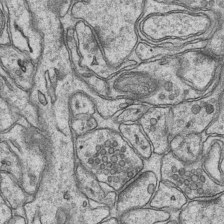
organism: Mouse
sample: CA1 Hippocampus